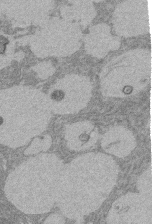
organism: Rat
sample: Salivary granule